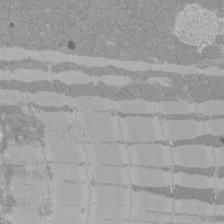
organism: Rat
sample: Left ventricle